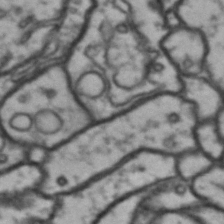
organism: Drosophila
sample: Brain